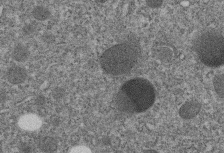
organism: C. elegans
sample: C. elegans embryo early stage